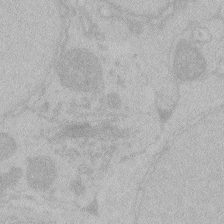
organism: Zebrafish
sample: Macrophage infected with Toxoplasma gondii